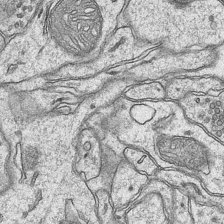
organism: Mouse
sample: CA1 Hippocampus